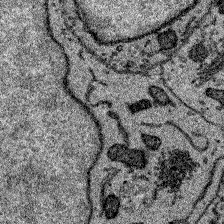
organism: Zebrafish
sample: Larval olfactory bulb